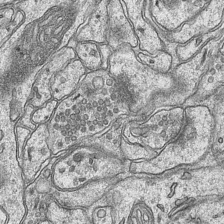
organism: Mouse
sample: CA1 Hippocampus